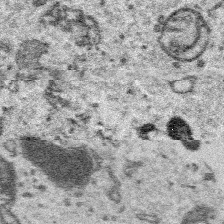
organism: Platynereis dumerilii